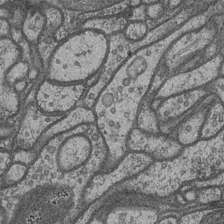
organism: Drosophila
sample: Optic medulla